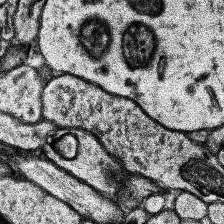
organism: Human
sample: Temporal Lobe